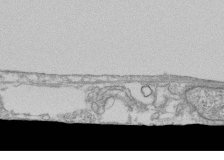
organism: Human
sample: Fibroblast cells